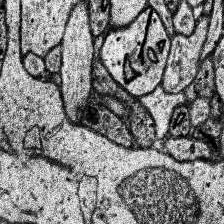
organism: Human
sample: Temporal Lobe